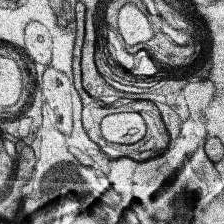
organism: Human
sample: Temporal Lobe